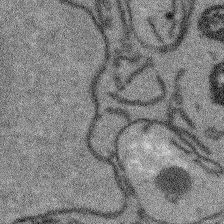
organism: Arabidopsis thaliana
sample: Root tip